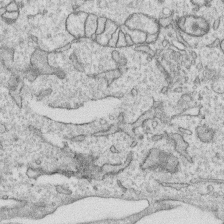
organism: Human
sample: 1205lu cells